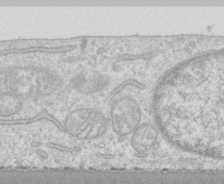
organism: Human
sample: CRL-1474